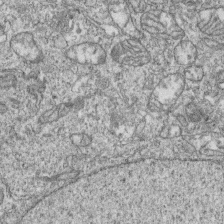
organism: Human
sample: HeLa cell HIV synapse